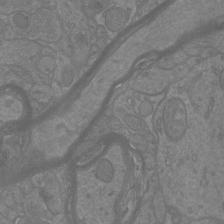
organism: Mouse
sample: Cortical neurons